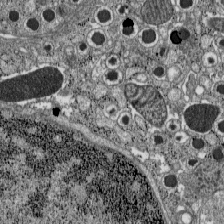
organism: C57BL Mouse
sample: Pancreatic islet